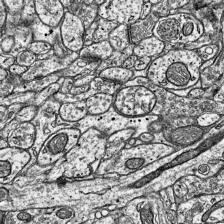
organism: Mouse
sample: Visual Cortex